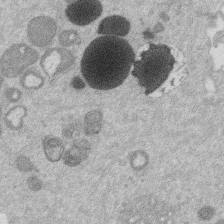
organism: Mouse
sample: Dividing mouse embryo 1 cell stage